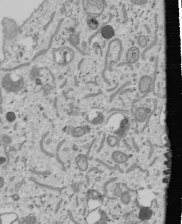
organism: Human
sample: Mitochondria in U2OS cells